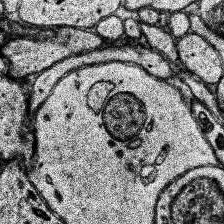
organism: Human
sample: Temporal Lobe